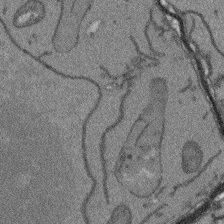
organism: Arabidopsis thaliana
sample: Root tip